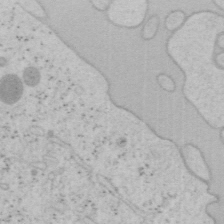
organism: Human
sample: HeLa cells